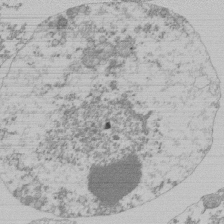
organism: Mouse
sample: Activated Pmel transgenic CD8+ T Cells